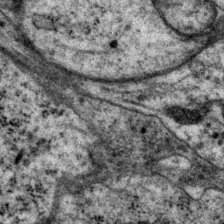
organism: P. pacificus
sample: Pharynx